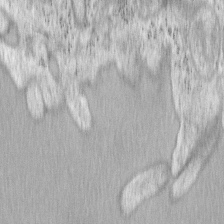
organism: Human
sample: HeLa cells